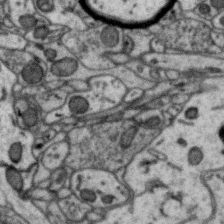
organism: Zebra finch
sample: Brain